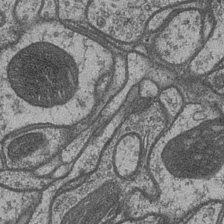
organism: Drosophila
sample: Optic medulla